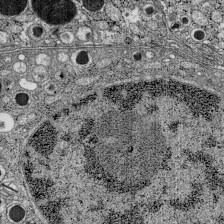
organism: C57BL Mouse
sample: Pancreatic islet